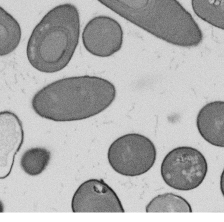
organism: B. subtilis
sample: Bacterial spore